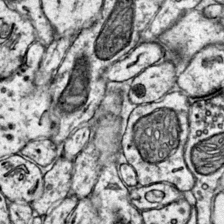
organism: Mouse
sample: Primary visual cortex